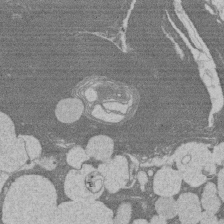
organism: Rat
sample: Salivary granule